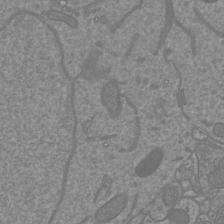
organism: Mouse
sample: Cortical neurons